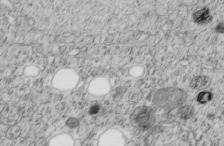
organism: C. elegans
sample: C. elegans embryo early stage